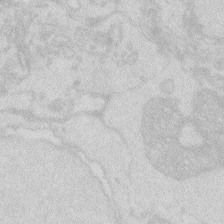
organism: Zebrafish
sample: Macrophage